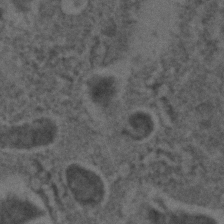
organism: C. elegans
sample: C. elegans embryo